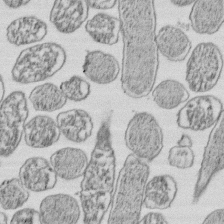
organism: E. coli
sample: Bacterial nucleoid